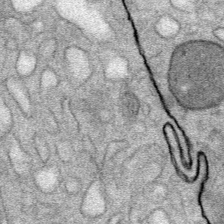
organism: Mouse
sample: Mouse Salivary gland